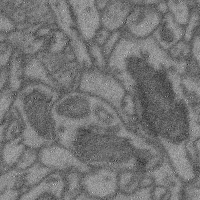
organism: Mouse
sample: Cerebral cortex